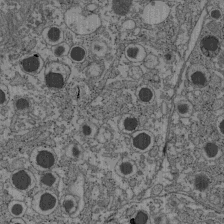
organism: C57BL Mouse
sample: Pancreatic islet